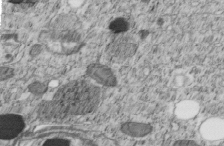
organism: C. elegans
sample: C. elegans embryo early stage